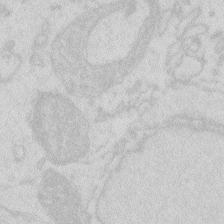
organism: Zebrafish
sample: Macrophage